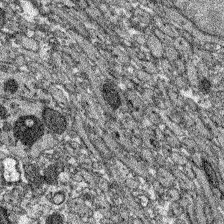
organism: Zebrafish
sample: Larval olfactory bulb